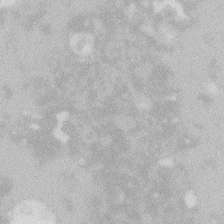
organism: Zebrafish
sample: Macrophage